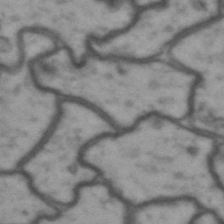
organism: Drosophila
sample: Brain